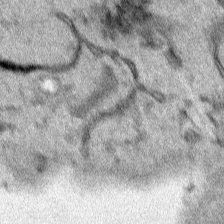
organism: Human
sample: Mitochondria in HCT116 cells